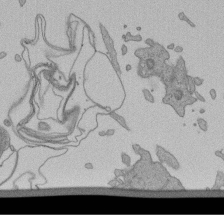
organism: Human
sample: Retinal organoid Rod and Cone cells